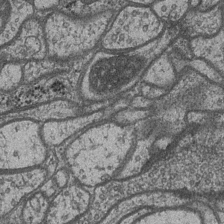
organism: Drosophila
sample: Optic medulla